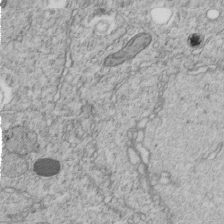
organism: C. elegans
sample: C. elegans embryo early stage